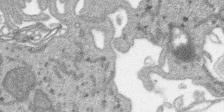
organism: Human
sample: Lung epithelial cells infected with SARS-CoV-2